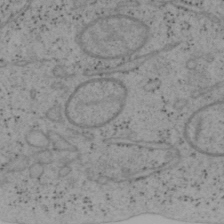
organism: Human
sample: HeLa cells